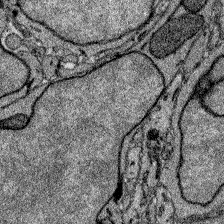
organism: Zebrafish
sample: Larval olfactory bulb